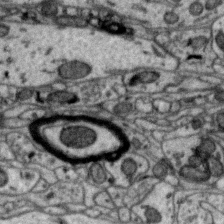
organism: Zebra finch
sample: Brain